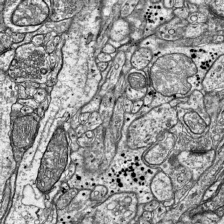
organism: Mouse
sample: Visual Cortex